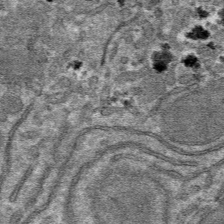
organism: Mouse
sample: Mouse hepatocytes